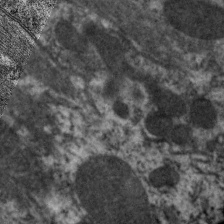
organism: C. elegans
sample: Pharynx